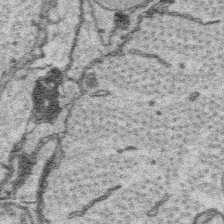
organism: Platynereis dumerilii